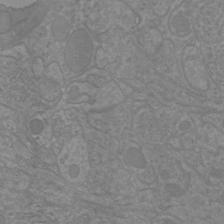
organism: Mouse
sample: Cortical neurons